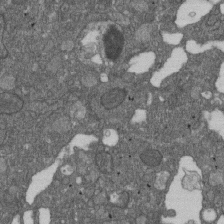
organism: Drosophila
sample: Nephrocyte